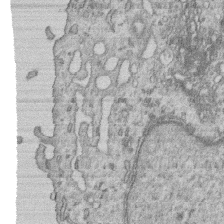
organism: Human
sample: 1205lu cells